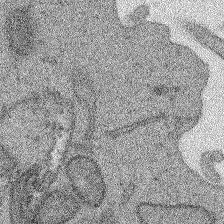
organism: Human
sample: HeLa cells